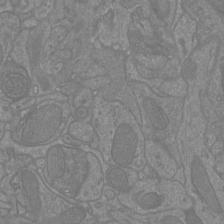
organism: Mouse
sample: Cortical neurons